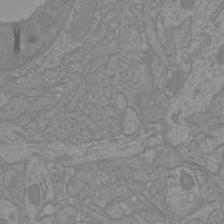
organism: Mouse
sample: Cortical neurons